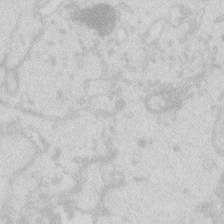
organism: Zebrafish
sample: Macrophage